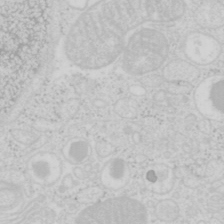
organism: Mouse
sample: Pancreas